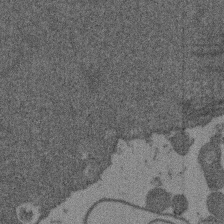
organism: Mouse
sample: Dividing mouse embryo 1 cell stage